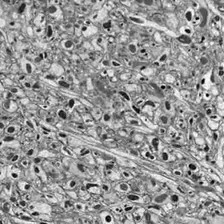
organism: Drosophila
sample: Optic lobe